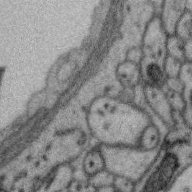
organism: Zebra finch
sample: Brain